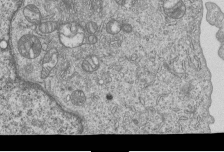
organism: Human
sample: MDA-MB-231 cells